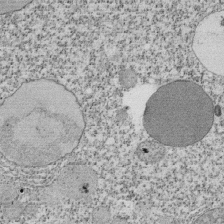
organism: Tetrahymena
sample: Cilia in tetrahymena